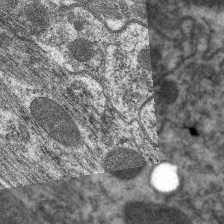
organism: C. elegans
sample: Pharynx